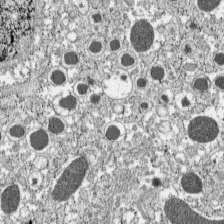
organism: C57BL Mouse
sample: Pancreatic islet